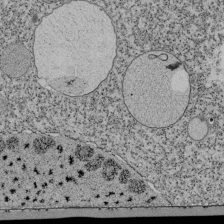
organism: Tetrahymena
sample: Cilia in tetrahymena